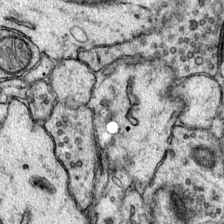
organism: Mouse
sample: Primary visual cortex